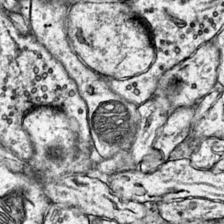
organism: Mouse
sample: Primary visual cortex